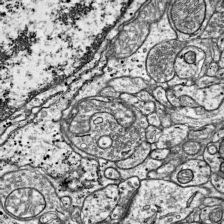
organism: Mouse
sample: Visual Cortex